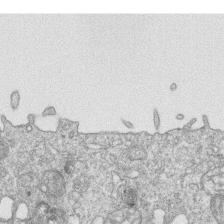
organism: Human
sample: HeLa cell HIV synapse